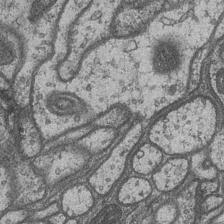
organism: Drosophila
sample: Optic medulla